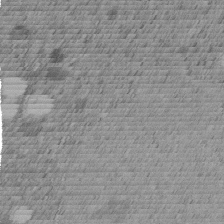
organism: C. elegans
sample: C. elegans embryo early stage